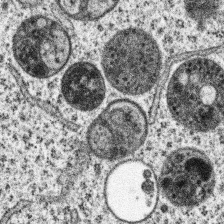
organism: Human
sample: HeLa cells